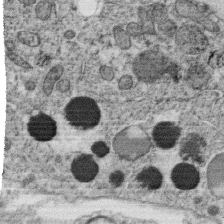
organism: C. elegans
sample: C. elegans oocyte; sperm cells